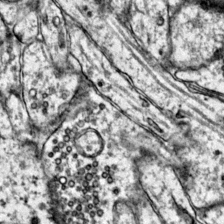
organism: Mouse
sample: Primary visual cortex